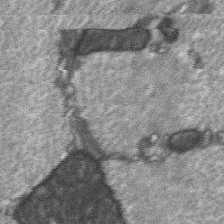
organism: C57BL Mouse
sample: Soleus